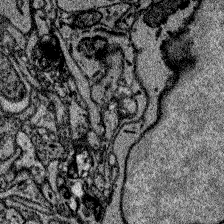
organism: Zebrafish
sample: Larval olfactory bulb